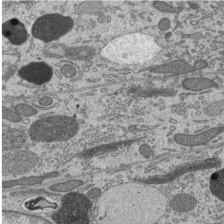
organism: Mouse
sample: Mouse epididymis efferent ductule cilia